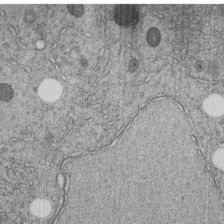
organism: C. elegans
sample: C. elegans embryo early stage